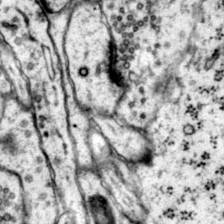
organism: Mouse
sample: Primary visual cortex